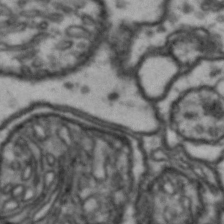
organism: Drosophila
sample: Brain